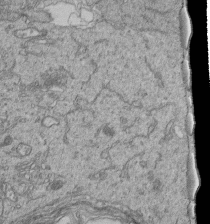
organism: Human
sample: Retinal organoid Rod and Cone cells